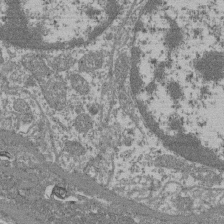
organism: Mouse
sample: Glomerulus